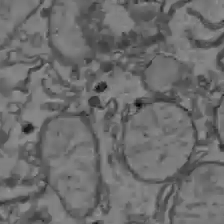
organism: C57BL Mouse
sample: Liver